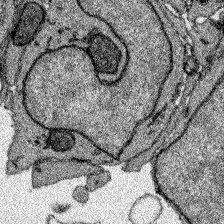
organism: Zebrafish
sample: Larval olfactory bulb